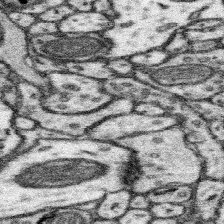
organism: Mouse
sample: Somatosensory cortex neuropil